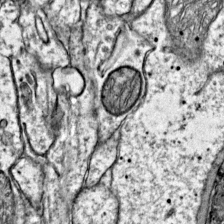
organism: Mouse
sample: Primary visual cortex